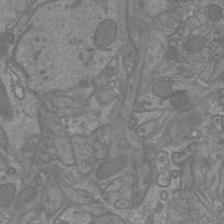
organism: Mouse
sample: Cortical neurons